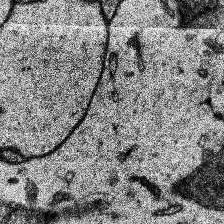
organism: Human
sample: Temporal Lobe